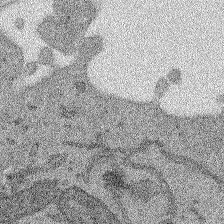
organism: Human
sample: HeLa cells